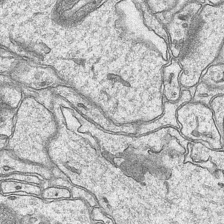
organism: Mouse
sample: CA1 Hippocampus